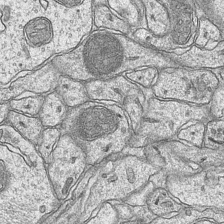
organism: Mouse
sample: CA1 Hippocampus